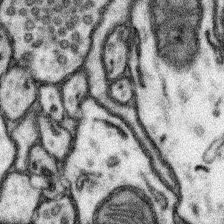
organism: Mouse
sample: Somatosensory cortex neuropil